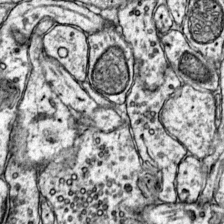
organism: Mouse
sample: Primary visual cortex